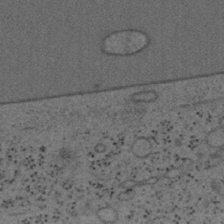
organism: Human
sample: HeLa cells